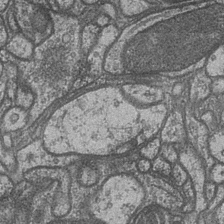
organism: Drosophila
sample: Optic medulla